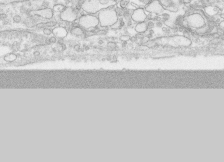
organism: Human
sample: CRL-1474